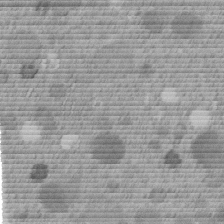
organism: C. elegans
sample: C. elegans embryo early stage